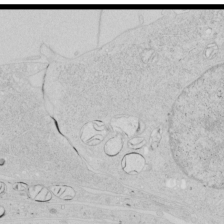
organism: Human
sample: Mitochondria in HCT116 cells